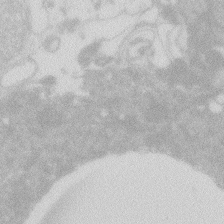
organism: Zebrafish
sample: Macrophage